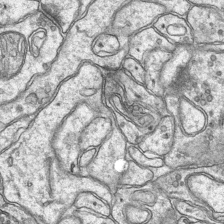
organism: Mouse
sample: CA1 Hippocampus